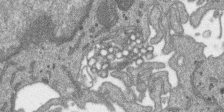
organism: Human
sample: Lung epithelial cells infected with SARS-CoV-2